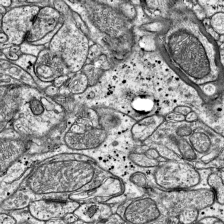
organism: Mouse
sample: Visual Cortex